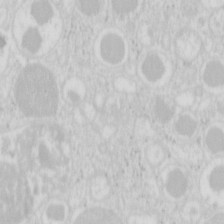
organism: Mouse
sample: Pancreas